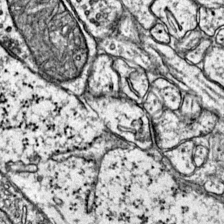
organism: Mouse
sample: Primary visual cortex